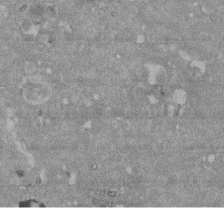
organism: Mouse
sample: ED-1 cell nuclei; centrioles